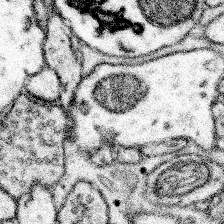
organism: Mouse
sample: Somatosensory cortex neuropil